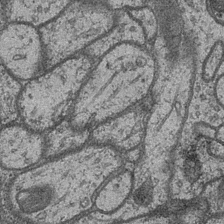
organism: Drosophila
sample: Optic medulla